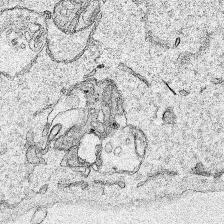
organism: Human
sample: Mitochondria in HCT116 cells